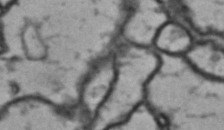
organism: Drosophila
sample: Brain